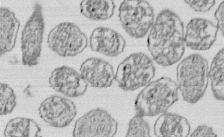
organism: E. coli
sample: Bacterial nucleoid